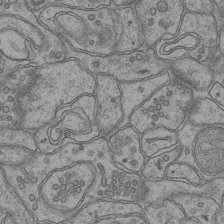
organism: Mouse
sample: CA1 Hippocampus